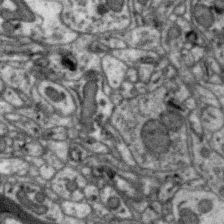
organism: Zebra finch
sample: Brain